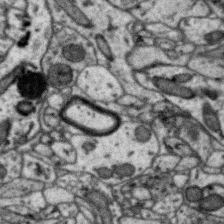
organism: Zebra finch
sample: Brain